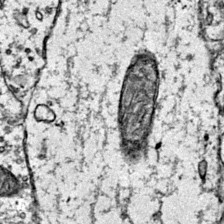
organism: Mouse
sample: Primary visual cortex